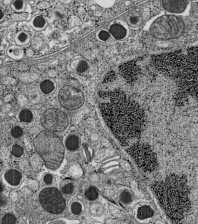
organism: C57BL Mouse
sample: Pancreatic islet